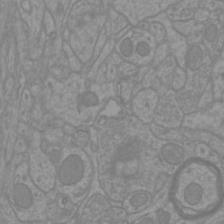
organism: Mouse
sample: Cortical neurons